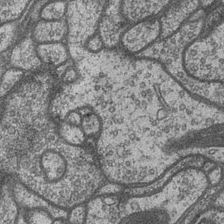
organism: Drosophila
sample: Optic medulla